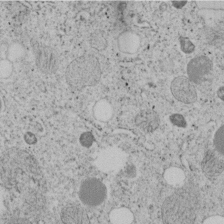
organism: C. elegans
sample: C. elegans embryo early stage